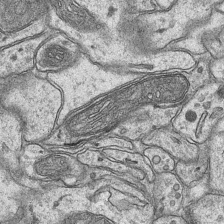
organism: Mouse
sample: CA1 Hippocampus